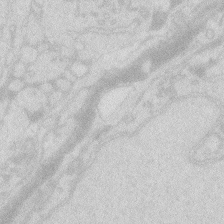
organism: Zebrafish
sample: Macrophage